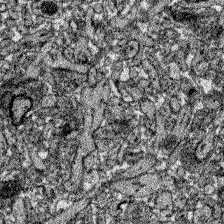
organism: Zebrafish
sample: Larval olfactory bulb